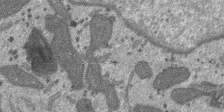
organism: Human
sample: Lung epithelial cells infected with SARS-CoV-2